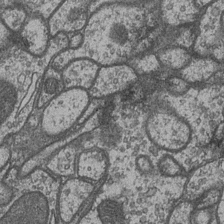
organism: Drosophila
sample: Optic medulla